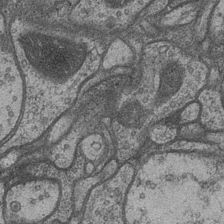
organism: Drosophila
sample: Optic medulla